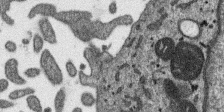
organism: Human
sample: Lung epithelial cells infected with SARS-CoV-2